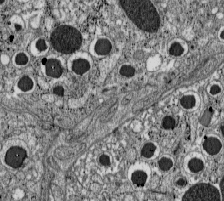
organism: C57BL Mouse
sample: Pancreatic islet